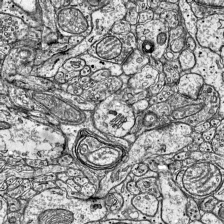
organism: Mouse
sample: Visual Cortex